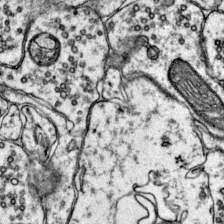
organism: Mouse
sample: Primary visual cortex